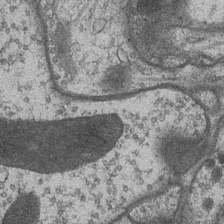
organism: Drosophila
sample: Optic medulla